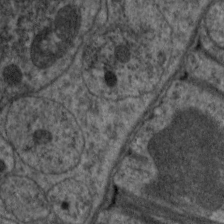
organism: C. elegans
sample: Pharynx